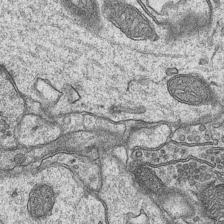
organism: Mouse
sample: CA1 Hippocampus